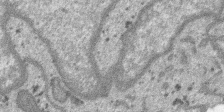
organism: Human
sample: Lung epithelial cells infected with SARS-CoV-2